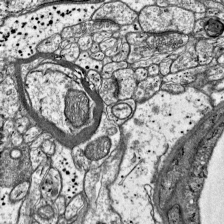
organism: Mouse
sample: Visual Cortex